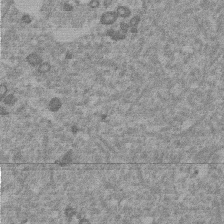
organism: Mouse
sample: Dividing mouse embryo 1 cell stage